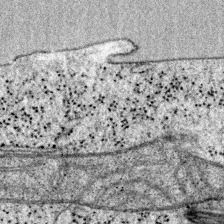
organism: Human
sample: HeLa cells